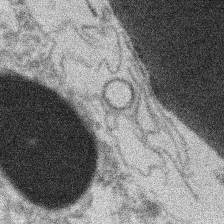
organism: Xenopus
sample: Cilia; centrioles in frog embryo cells